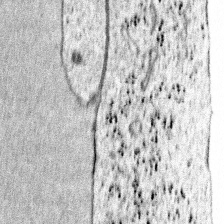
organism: Human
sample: HeLa cells